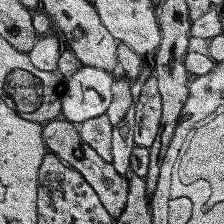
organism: Human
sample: Temporal Lobe